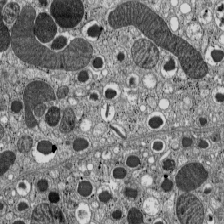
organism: C57BL Mouse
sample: Pancreatic islet